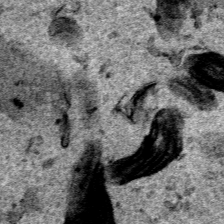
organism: Human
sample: Mitochondria in HCT116 cells